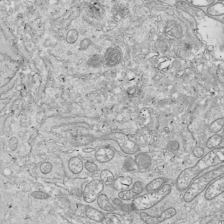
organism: Drosophila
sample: Cell division; meiosis; drosophila spermatocytes